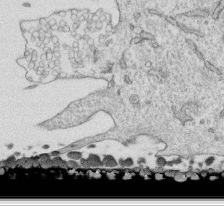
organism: Human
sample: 1205lu cells